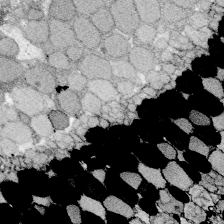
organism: Zebrafish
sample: Whole-Brain